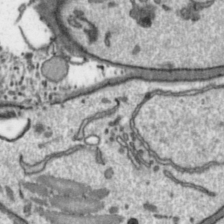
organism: Toxoplasma gondii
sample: Parasites in a vacuole inside a host cell